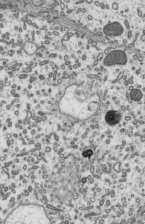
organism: Mouse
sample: Mouse epididymis efferent ductule cilia